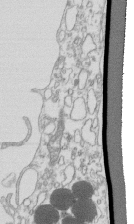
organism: Mouse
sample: Macrophages